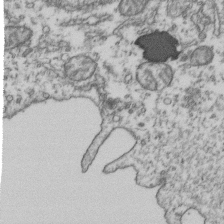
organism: Human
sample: Activated Jurkat CD4+ T cells